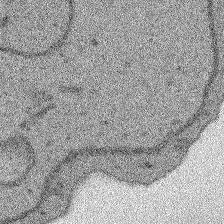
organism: Human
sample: HeLa cells